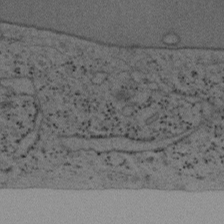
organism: Human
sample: HeLa cells